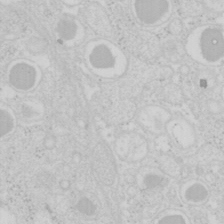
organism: Mouse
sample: Pancreas